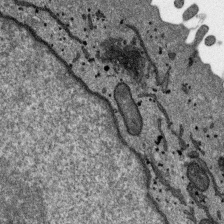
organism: Human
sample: Lung epithelial cells, uninfected (mock) control